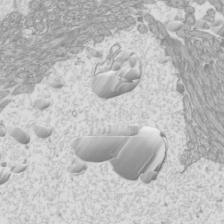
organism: Mouse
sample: Cilia; mouse epididymis